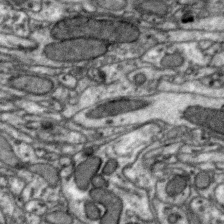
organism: Zebra finch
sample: Brain